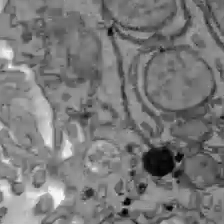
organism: C57BL Mouse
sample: Liver